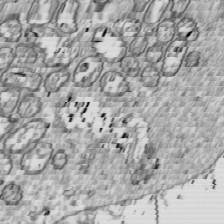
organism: Drosophila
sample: Cell division; meiosis; drosophila spermatocytes